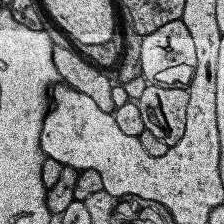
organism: Human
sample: Temporal Lobe